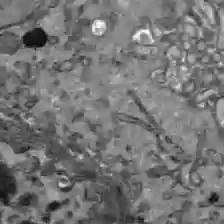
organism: C57BL Mouse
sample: Liver